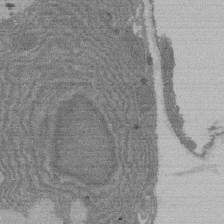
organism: Rat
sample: Salivary granule